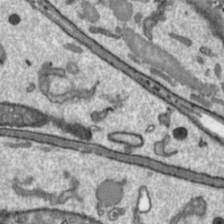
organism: Toxoplasma gondii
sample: Parasites in a vacuole inside a host cell